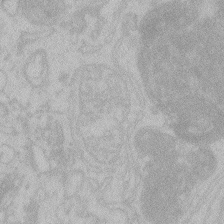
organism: Zebrafish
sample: Macrophage infected with Toxoplasma gondii